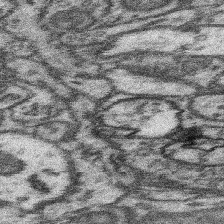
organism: Mouse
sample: Somatosensory cortex neuropil